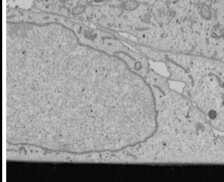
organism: Human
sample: Mitochondria in U2OS cells